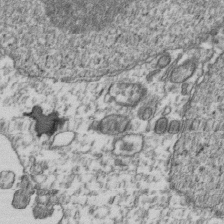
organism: Human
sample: Activated Jurkat CD4+ T cells